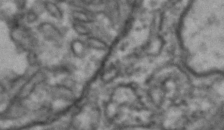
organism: Drosophila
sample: Brain